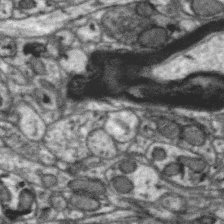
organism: Zebra finch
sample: Brain